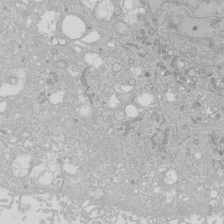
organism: Human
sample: Caco-2 cells